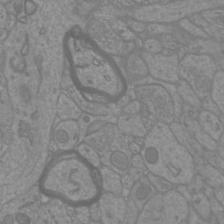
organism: Mouse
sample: Cortical neurons